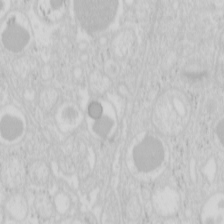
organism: Mouse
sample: Pancreas